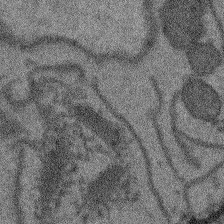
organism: Arabidopsis thaliana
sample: Root tip